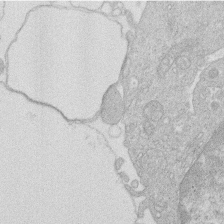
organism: Human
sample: Macrophage cells